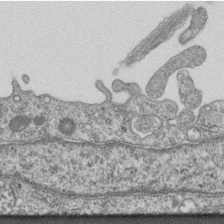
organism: Mouse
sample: Centriole in ependymal cells